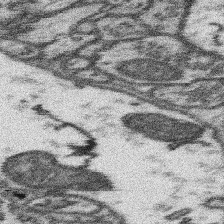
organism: Mouse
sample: Somatosensory cortex neuropil